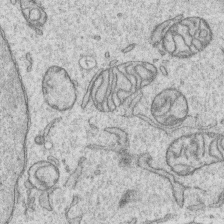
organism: Human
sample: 1205lu cells